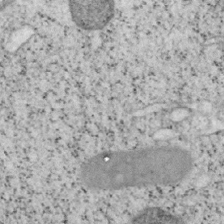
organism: Mouse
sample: OT-I killer T cells with ID8 ovarian cancer cells